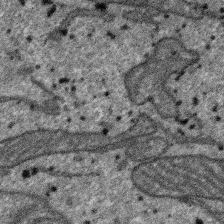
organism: Human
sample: Lung epithelial cells infected with SARS-CoV-2